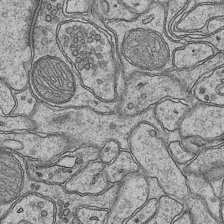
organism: Mouse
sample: CA1 Hippocampus